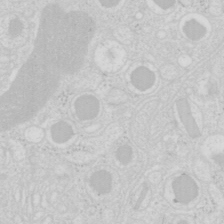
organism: Mouse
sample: Pancreas